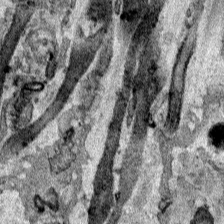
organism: Human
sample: Mitochondria in HCT116 cells